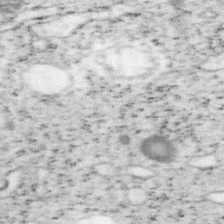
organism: Mouse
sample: OT-I killer T cells with ID8 ovarian cancer cells